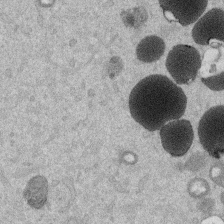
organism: Mouse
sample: Dividing mouse embryo 1 cell stage